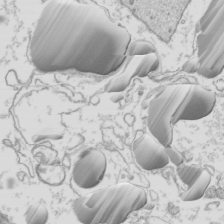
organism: Mouse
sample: Cilia; mouse epididymis